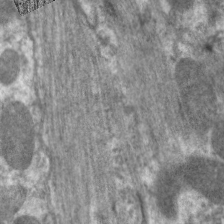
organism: C. elegans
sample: Pharynx